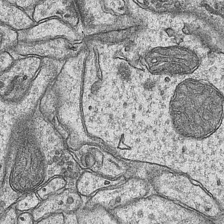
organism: Mouse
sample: CA1 Hippocampus